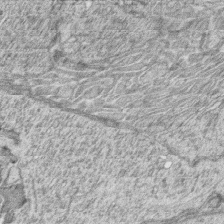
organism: Zebrafish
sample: synaptic ribbons in rod cells and cone cells